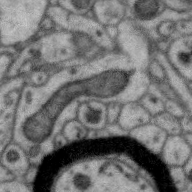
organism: Zebra finch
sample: Brain